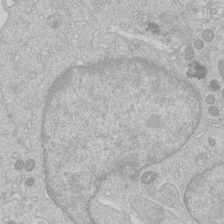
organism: Human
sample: Macrophage cells